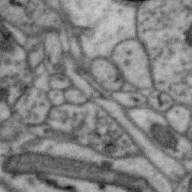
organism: Zebra finch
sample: Brain